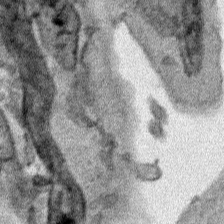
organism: Human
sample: Mitochondria in HCT116 cells